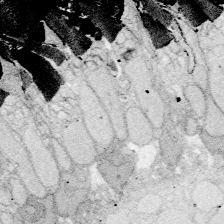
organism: Zebrafish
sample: Whole-Brain